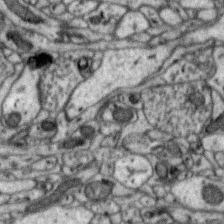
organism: Zebra finch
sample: Brain